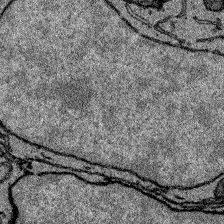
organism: Zebrafish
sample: Larval olfactory bulb